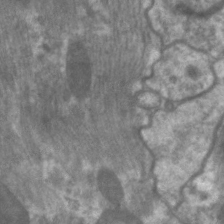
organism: C. elegans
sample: Pharynx